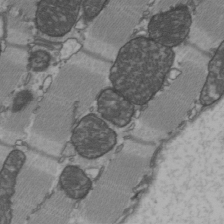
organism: C57BL Mouse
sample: Heart